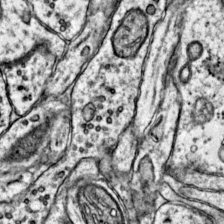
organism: Mouse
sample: Primary visual cortex